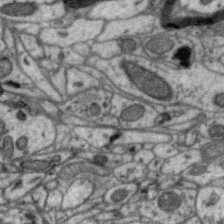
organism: Zebra finch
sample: Brain